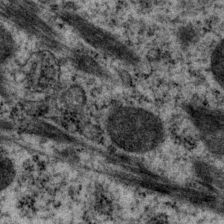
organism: P. pacificus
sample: Pharynx